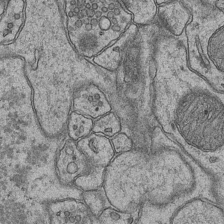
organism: Mouse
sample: CA1 Hippocampus